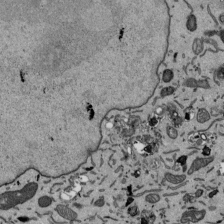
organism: Mouse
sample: ED-1 cell nuclei; centrioles